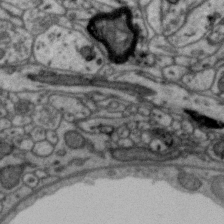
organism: Zebra finch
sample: Brain